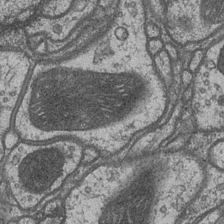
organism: Drosophila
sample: Optic medulla